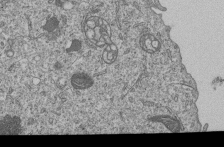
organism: Human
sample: MDA-MB-231 cells